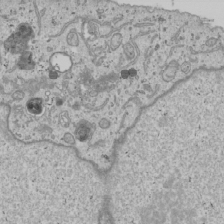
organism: Human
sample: Mitochondria in U2OS cells